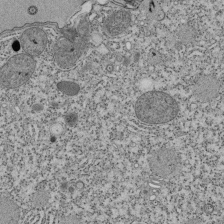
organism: Tetrahymena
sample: Cilia in tetrahymena